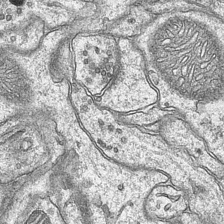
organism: Mouse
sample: CA1 Hippocampus